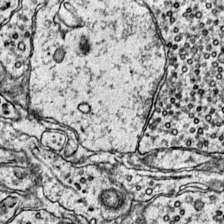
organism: Mouse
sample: Primary visual cortex